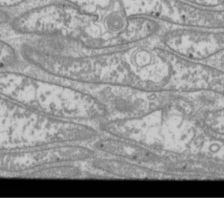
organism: Drosophila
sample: Cell division; meiosis; drosophila spermatocytes